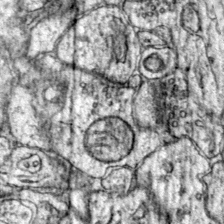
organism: Mouse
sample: Primary visual cortex